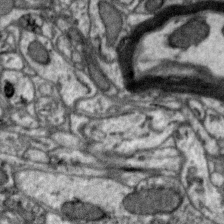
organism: Zebra finch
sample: Brain